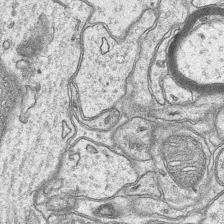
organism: Mouse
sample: CA1 Hippocampus